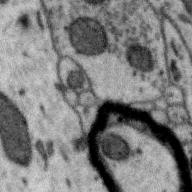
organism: Zebra finch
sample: Brain